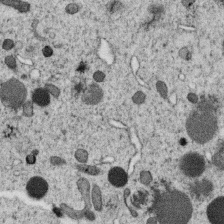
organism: C. elegans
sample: C. elegans oocyte; sperm cells